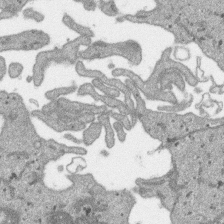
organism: Human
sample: Lung epithelial cells infected with SARS-CoV-2